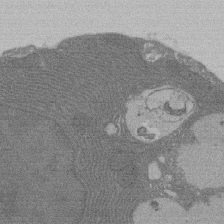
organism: Rat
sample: Salivary granule